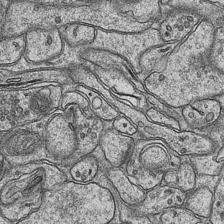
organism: Mouse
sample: CA1 Hippocampus